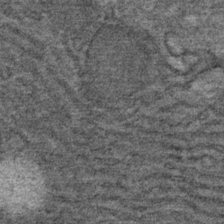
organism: Mouse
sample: Mouse Salivary gland